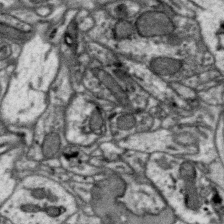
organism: Zebra finch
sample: Brain